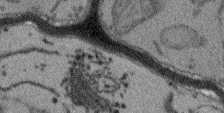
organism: Arabidopsis thaliana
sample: Root tip